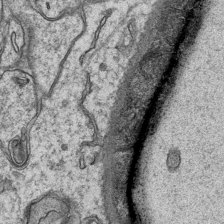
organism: Mouse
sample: CA1 Hippocampus